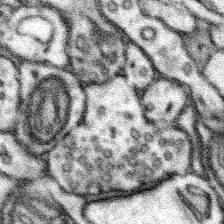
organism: Mouse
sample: Somatosensory cortex neuropil